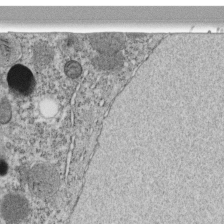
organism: C. elegans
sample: C. elegans embryo early stage